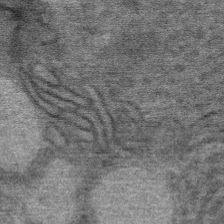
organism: Mouse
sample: Mouse Salivary gland